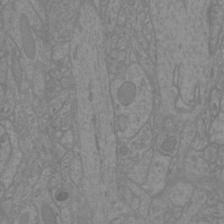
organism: Mouse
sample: Cortical neurons